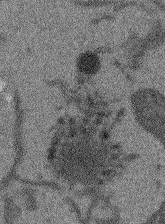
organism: Arabidopsis thaliana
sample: Root tip